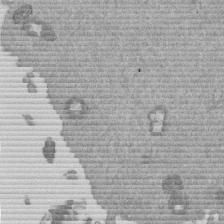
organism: Mouse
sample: Dividing mouse embryo 1 cell stage